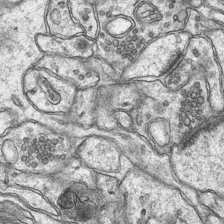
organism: Mouse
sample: CA1 Hippocampus